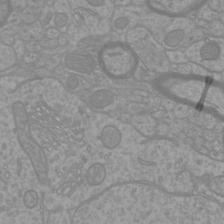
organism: Mouse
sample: Cortical neurons